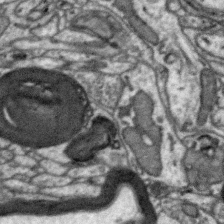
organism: Zebra finch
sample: Brain